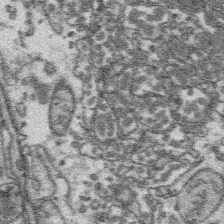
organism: Platynereis dumerilii